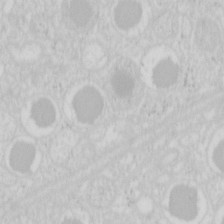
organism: Mouse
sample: Pancreas